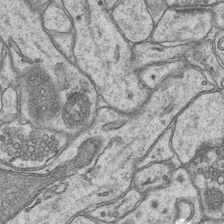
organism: Mouse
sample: CA1 Hippocampus